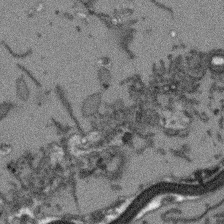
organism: Arabidopsis thaliana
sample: Root tip